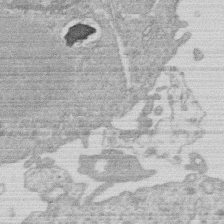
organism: Human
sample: Macrophage cells